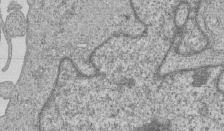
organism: Human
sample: MDA-MB-231 cells